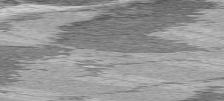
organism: C57BL Mouse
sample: Heart